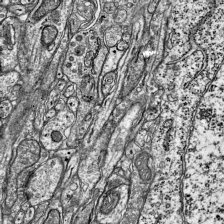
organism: Mouse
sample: Visual Cortex